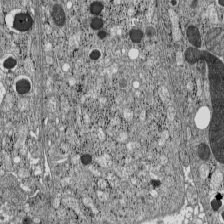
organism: C57BL Mouse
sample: Pancreatic islet